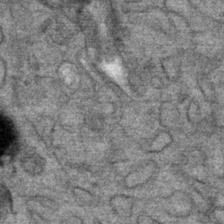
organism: Mouse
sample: Mouse Salivary gland